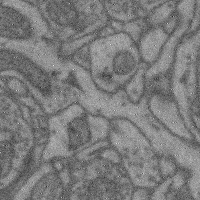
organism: Mouse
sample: Cerebral cortex